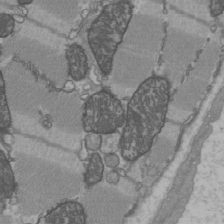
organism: C57BL Mouse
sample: Heart